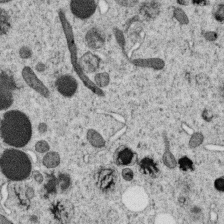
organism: C. elegans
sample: C. elegans oocyte; sperm cells